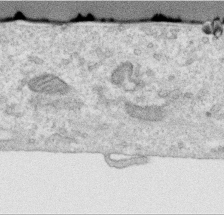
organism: Human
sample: Centriole in RPE cells